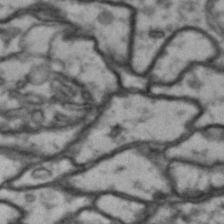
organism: Drosophila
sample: Brain